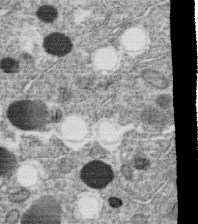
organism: C. elegans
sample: C. elegans oocyte; sperm cells